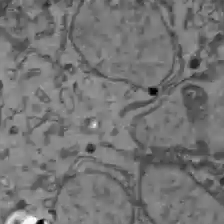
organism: C57BL Mouse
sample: Liver